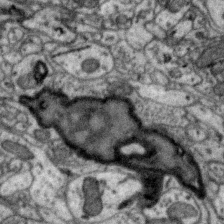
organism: Zebra finch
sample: Brain